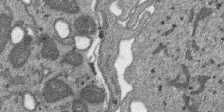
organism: Human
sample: Lung epithelial cells infected with SARS-CoV-2